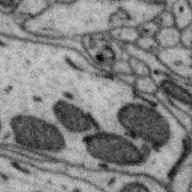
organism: Zebra finch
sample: Brain